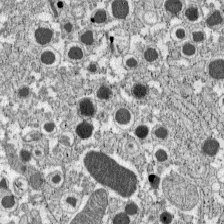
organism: C57BL Mouse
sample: Pancreatic islet